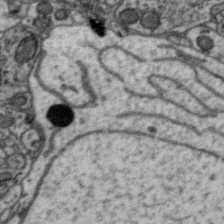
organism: Zebra finch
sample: Brain